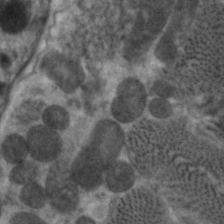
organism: C. elegans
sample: Pharynx